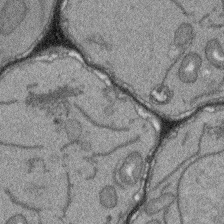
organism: Arabidopsis thaliana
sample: Root tip